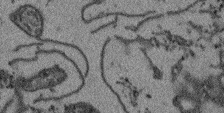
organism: Arabidopsis thaliana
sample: Root tip